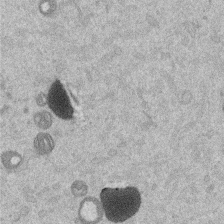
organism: Mouse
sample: Dividing mouse embryo 1 cell stage